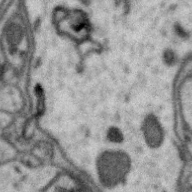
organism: Zebra finch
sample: Brain